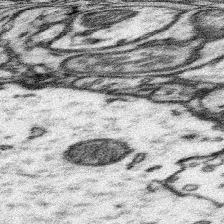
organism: Mouse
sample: Somatosensory cortex neuropil